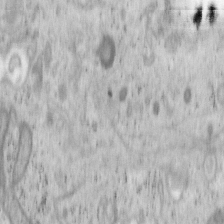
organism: Human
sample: HeLa cells